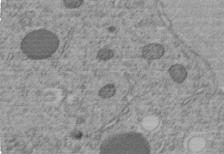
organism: C. elegans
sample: C. elegans embryo early stage